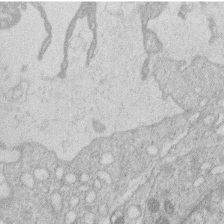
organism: Human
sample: Macrophage cells